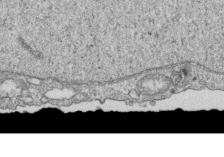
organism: Human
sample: HeLa cell HIV synapse